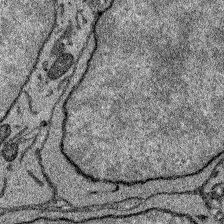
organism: Zebrafish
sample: Larval olfactory bulb